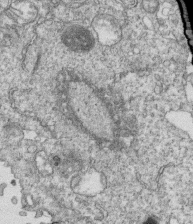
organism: Human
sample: HeLa cell HIV synapse